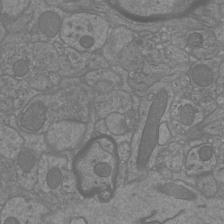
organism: Mouse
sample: Cortical neurons